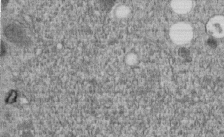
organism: C. elegans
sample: C. elegans embryo early stage